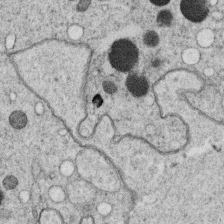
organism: C. elegans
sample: C. elegans oocyte; sperm cells